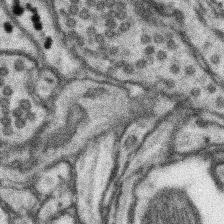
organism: Mouse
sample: Somatosensory cortex neuropil